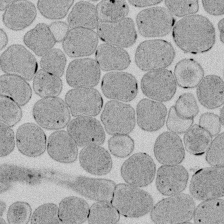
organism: E. coli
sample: Bacterial nucleoid